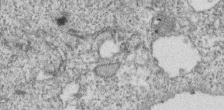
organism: Human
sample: HeLa cell HIV synapse